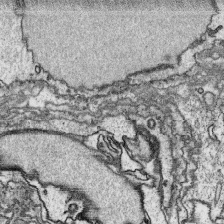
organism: Platynereis dumerilii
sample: Parapodia